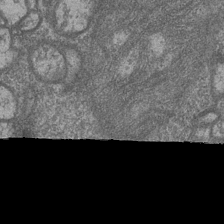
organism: Drosophila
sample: Optic medulla